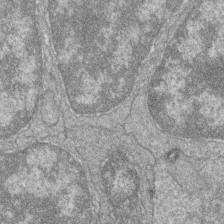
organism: Zebrafish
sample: Cilia; retinal pigment epithelium